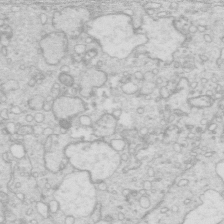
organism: Mouse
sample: Multiciliated cells